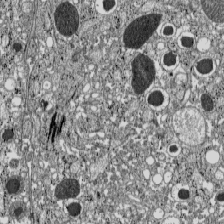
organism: C57BL Mouse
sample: Pancreatic islet